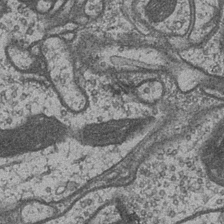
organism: Drosophila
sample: Optic medulla